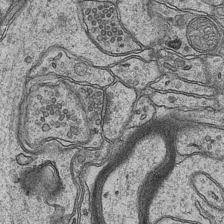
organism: Mouse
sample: CA1 Hippocampus